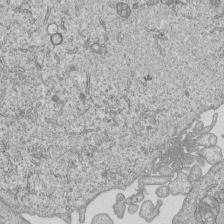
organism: Human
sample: MDA-MB-231 cells